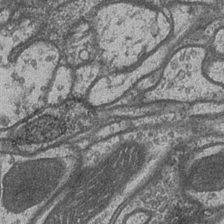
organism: Drosophila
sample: Optic medulla